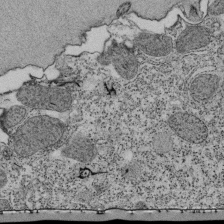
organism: Tetrahymena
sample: Cilia in tetrahymena